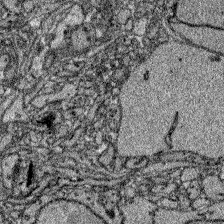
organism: Zebrafish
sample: Larval olfactory bulb